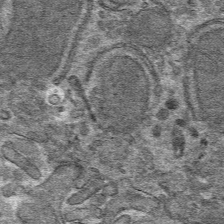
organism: Mouse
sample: Mouse hepatocytes